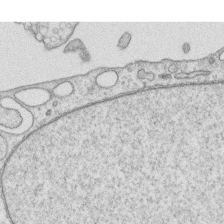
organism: Human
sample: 1205lu cells